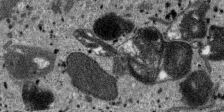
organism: Human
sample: Lung epithelial cells, uninfected (mock) control